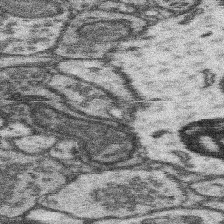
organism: Mouse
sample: Somatosensory cortex neuropil